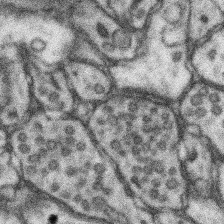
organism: Mouse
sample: Somatosensory cortex neuropil